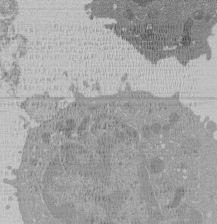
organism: Mouse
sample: Activated Pmel transgenic CD8+ T Cells